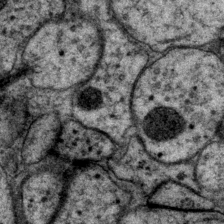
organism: P. pacificus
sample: Pharynx